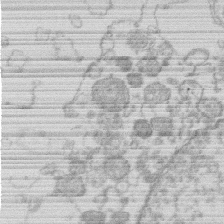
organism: Human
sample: Macrophage cells